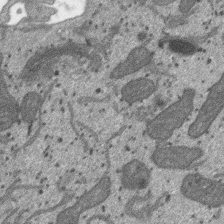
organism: Human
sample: Lung epithelial cells infected with SARS-CoV-2